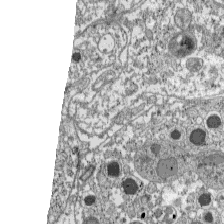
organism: C57BL Mouse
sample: Pancreatic islet